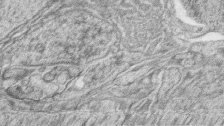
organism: Zebrafish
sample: synaptic ribbons in rod cells and cone cells